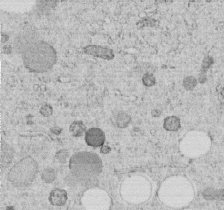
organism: C. elegans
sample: C. elegans embryo early stage